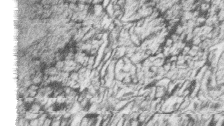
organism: Zebrafish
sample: synaptic ribbons in rod cells and cone cells